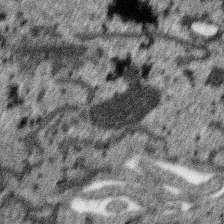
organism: Human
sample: Lung epithelial cells infected with SARS-CoV-2